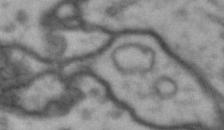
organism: Drosophila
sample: Brain